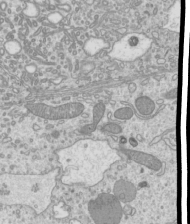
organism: Mouse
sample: Cilia; mouse epididymis